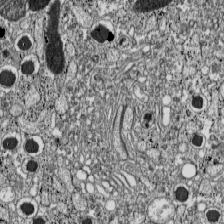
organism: C57BL Mouse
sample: Pancreatic islet